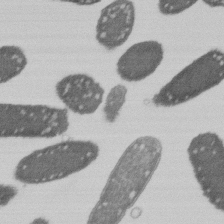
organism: E. coli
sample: Bacterial nucleoid